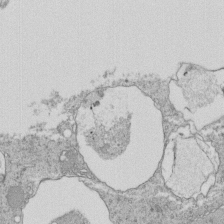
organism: Tetrahymena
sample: Cilia in tetrahymena